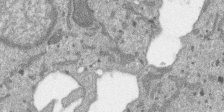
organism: Human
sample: Lung epithelial cells infected with SARS-CoV-2